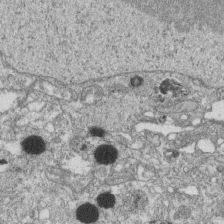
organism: Human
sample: HeLa cell HIV synapse